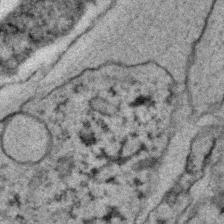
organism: C. elegans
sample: C. elegans embryo